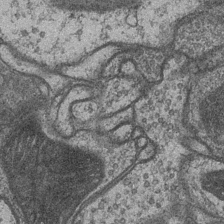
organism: Drosophila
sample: Optic medulla